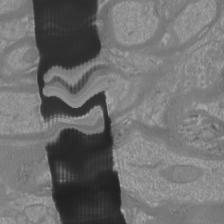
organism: Mouse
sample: Cortical neurons